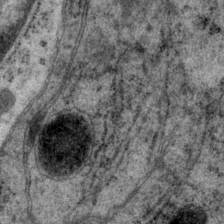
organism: P. pacificus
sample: Pharynx